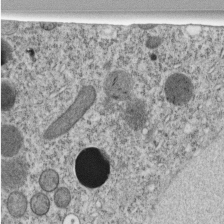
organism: C. elegans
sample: C. elegans embryo early stage